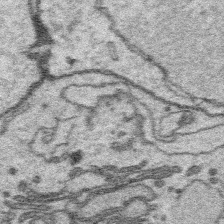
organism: Platynereis dumerilii